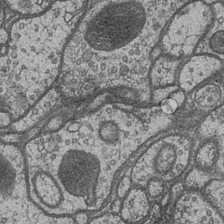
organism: Drosophila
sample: Optic medulla